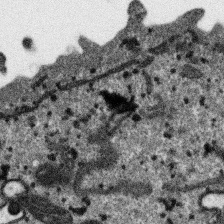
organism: Human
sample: Lung epithelial cells infected with SARS-CoV-2